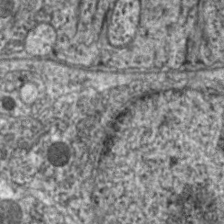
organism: C. elegans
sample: Pharynx